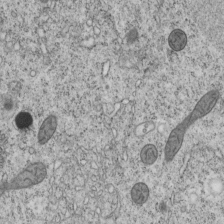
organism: C. elegans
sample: C. elegans embryo early stage